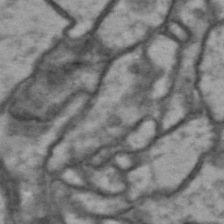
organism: Drosophila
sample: Brain